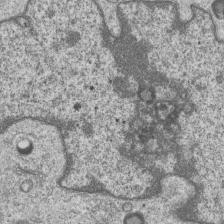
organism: Human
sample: MDA-MB-231 cells